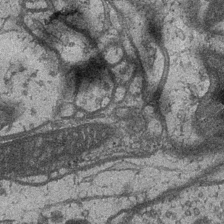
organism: Drosophila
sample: Optic medulla